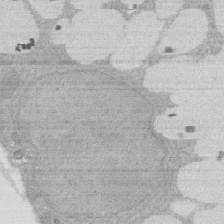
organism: Rat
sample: Salivary granule